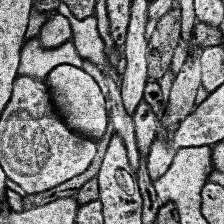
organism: Human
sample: Temporal Lobe